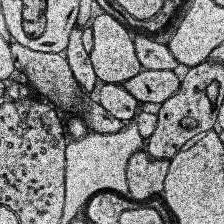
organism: Human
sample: Temporal Lobe